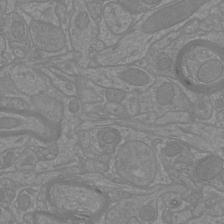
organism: Mouse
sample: Cortical neurons